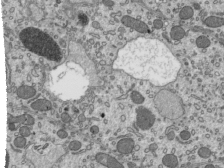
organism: Mouse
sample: Mouse epididymis efferent ductule cilia